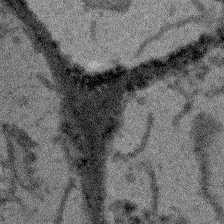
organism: Arabidopsis thaliana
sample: Root tip